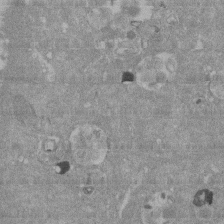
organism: Mouse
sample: ED-1 cell nuclei; centrioles